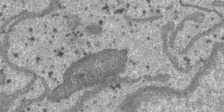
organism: Human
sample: Lung epithelial cells infected with SARS-CoV-2